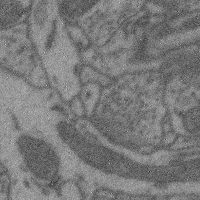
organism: Mouse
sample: Cerebral cortex